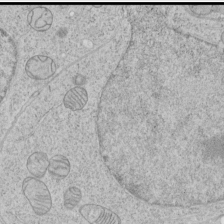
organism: Human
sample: Mitochondria in HCT116 cells